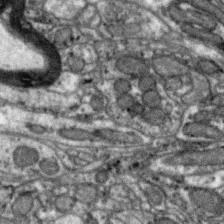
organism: Zebra finch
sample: Brain